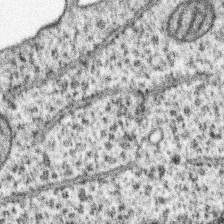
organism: Human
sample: HeLa cells